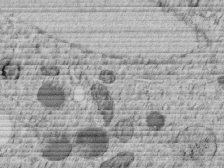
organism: C. elegans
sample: C. elegans embryo early stage